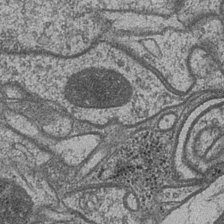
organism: Drosophila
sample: Optic medulla